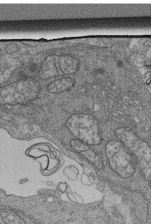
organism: Human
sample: Retinal organoid Rod and Cone cells